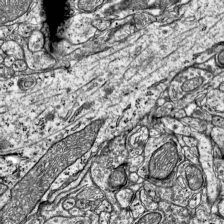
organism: Mouse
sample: Visual Cortex